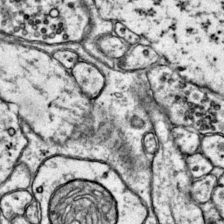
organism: Mouse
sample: Primary visual cortex